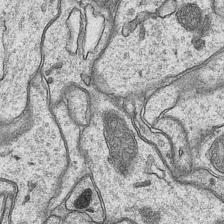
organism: Mouse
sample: CA1 Hippocampus